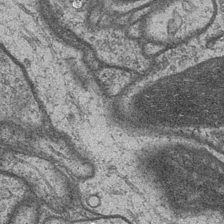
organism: Drosophila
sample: Optic medulla